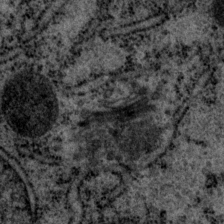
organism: P. pacificus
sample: Pharynx